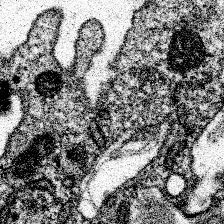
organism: Spongilla lacustris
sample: Neuroid cell